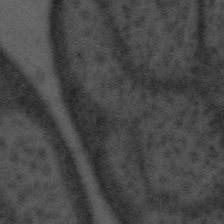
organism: Tuwongella immobilis